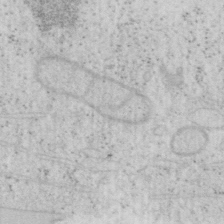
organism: Human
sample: HeLa cells